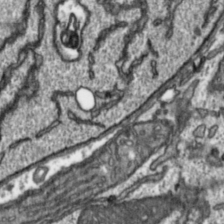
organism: Toxoplasma gondii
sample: Parasites in a vacuole inside a host cell